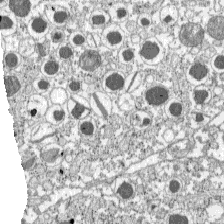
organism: C57BL Mouse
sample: Pancreatic islet